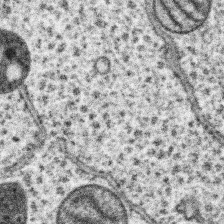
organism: Human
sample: HeLa cells